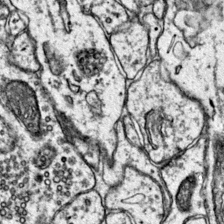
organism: Mouse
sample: Primary visual cortex